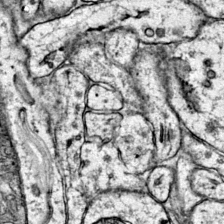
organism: Mouse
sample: Primary visual cortex